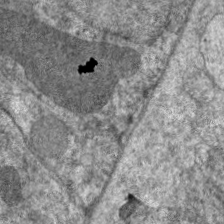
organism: C. elegans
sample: Pharynx